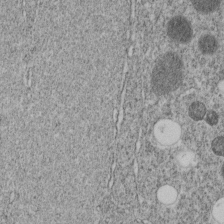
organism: C. elegans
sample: C. elegans embryo early stage